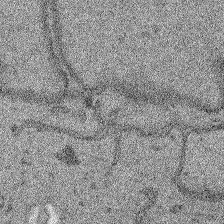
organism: Human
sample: HeLa cells